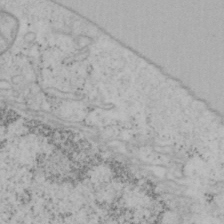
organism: Human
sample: HeLa cells